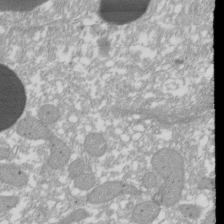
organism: Xenopus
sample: Cilia; centrioles in frog embryo cells